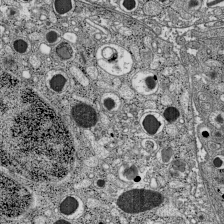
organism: C57BL Mouse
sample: Pancreatic islet